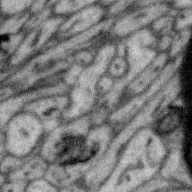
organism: Zebra finch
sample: Brain